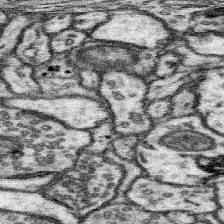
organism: Mouse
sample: Somatosensory cortex neuropil